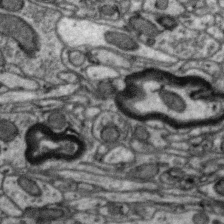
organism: Zebra finch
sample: Brain